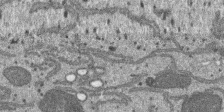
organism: Human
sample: Lung epithelial cells infected with SARS-CoV-2